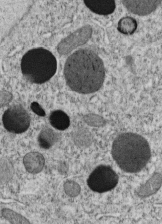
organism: C. elegans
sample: C. elegans embryo early stage